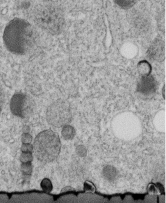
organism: C. elegans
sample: C. elegans embryo early stage